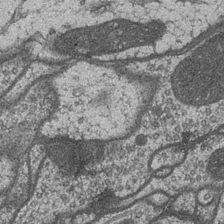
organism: Drosophila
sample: Optic medulla